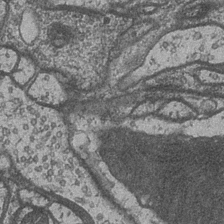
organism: Drosophila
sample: Optic medulla